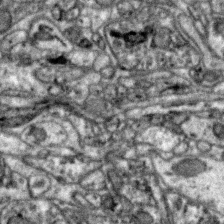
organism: Zebra finch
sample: Brain